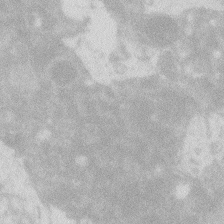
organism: Zebrafish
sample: Macrophage